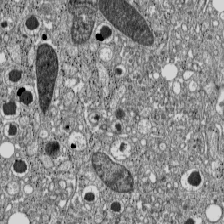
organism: C57BL Mouse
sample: Pancreatic islet